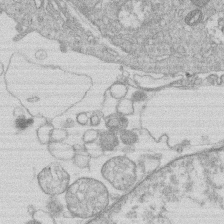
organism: Human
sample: Macrophage cells